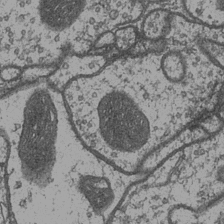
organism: Drosophila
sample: Optic medulla